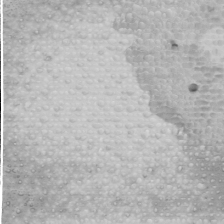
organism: Human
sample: Mitochondria in U2OS cells